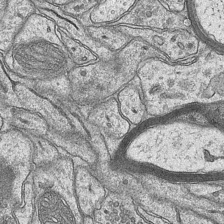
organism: Mouse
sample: CA1 Hippocampus